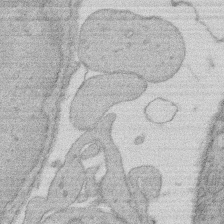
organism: Rat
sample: Salivary granule